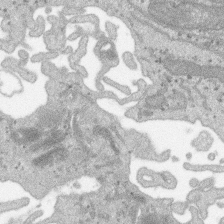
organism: Human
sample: Lung epithelial cells infected with SARS-CoV-2